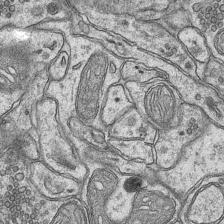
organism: Mouse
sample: CA1 Hippocampus